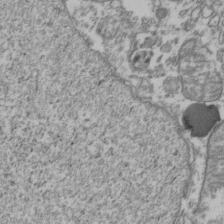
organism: Human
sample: Activated Jurkat CD4+ T cells